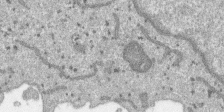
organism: Human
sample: Lung epithelial cells infected with SARS-CoV-2